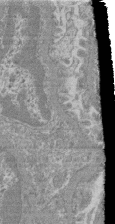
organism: Mouse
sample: Glomerulus